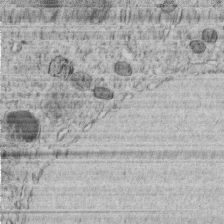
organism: C. elegans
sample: C. elegans embryo early stage